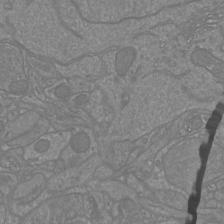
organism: Mouse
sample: Cortical neurons